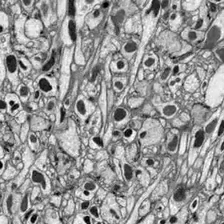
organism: Drosophila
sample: Optic lobe